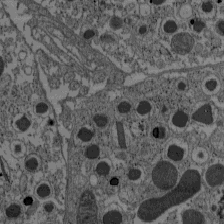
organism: C57BL Mouse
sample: Pancreatic islet